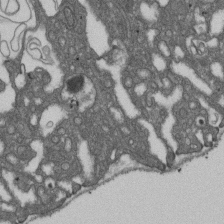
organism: Drosophila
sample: Nephrocyte